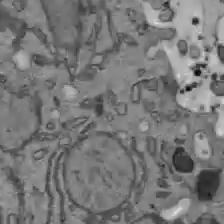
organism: C57BL Mouse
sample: Liver